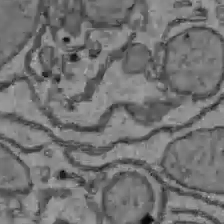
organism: C57BL Mouse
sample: Liver